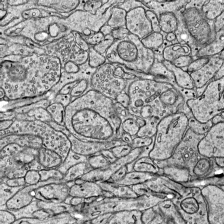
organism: Mouse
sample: Visual Cortex